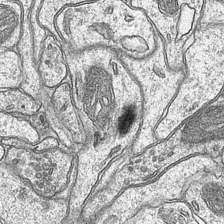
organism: Mouse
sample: CA1 Hippocampus